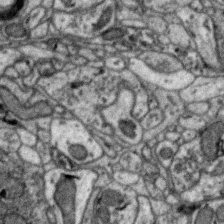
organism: Zebra finch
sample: Brain